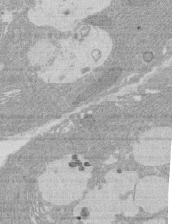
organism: Rat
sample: Salivary granule